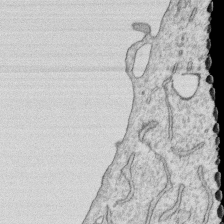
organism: Human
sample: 1205lu cells